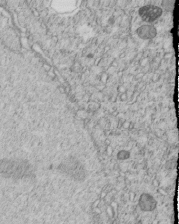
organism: C. elegans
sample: C. elegans embryo early stage